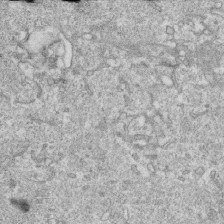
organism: Mouse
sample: Activated OT-1 CD8+ T cells